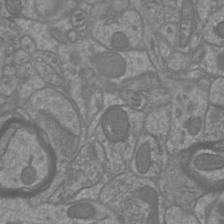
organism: Mouse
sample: Cortical neurons